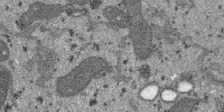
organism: Human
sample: Lung epithelial cells infected with SARS-CoV-2